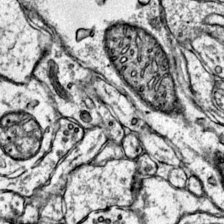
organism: Mouse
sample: Primary visual cortex